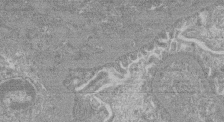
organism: Mouse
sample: Glomerulus